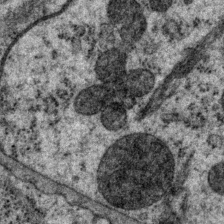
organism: P. pacificus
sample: Pharynx